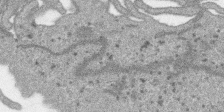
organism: Human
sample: Lung epithelial cells infected with SARS-CoV-2